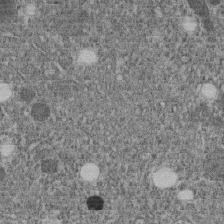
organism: C. elegans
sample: C. elegans embryo early stage